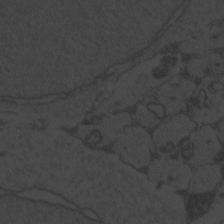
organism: Zebrafish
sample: Macrophage infected with Toxoplasma gondii